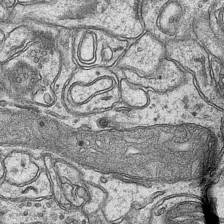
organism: Mouse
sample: CA1 Hippocampus